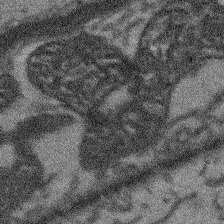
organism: Arabidopsis thaliana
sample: Root tip